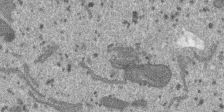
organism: Human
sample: Lung epithelial cells infected with SARS-CoV-2